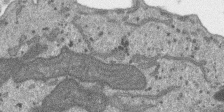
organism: Human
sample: Lung epithelial cells infected with SARS-CoV-2